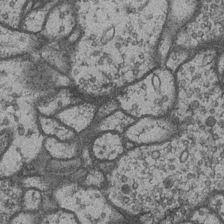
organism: Drosophila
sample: Optic medulla